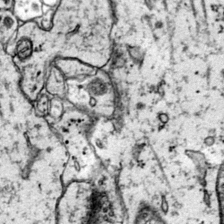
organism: Mouse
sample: Primary visual cortex